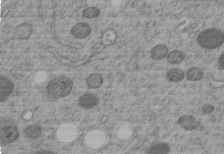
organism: C. elegans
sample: C. elegans embryo early stage